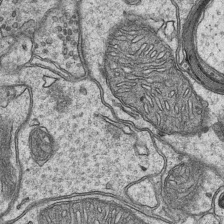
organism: Mouse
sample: CA1 Hippocampus